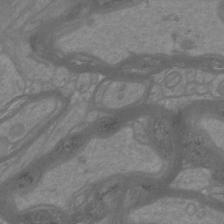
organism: Mouse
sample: Cortical neurons